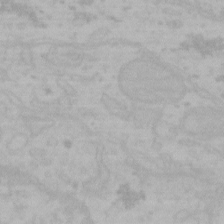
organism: Mouse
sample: Choroid plexus